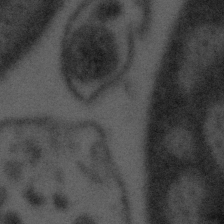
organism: Tuwongella immobilis